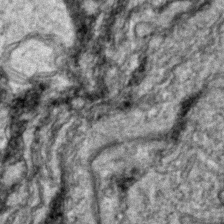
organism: Zebrafish